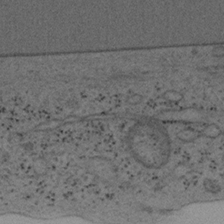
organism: Human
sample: HeLa cells